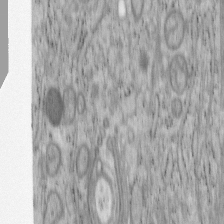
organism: Human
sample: HeLa cells